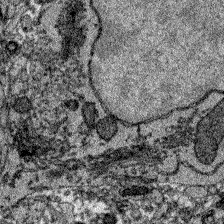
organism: Zebrafish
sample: Larval olfactory bulb